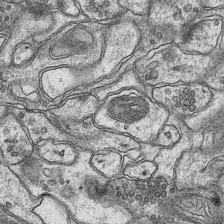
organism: Mouse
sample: CA1 Hippocampus